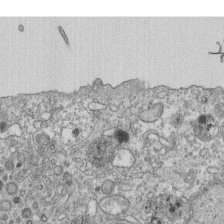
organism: Human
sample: HeLa cell HIV synapse